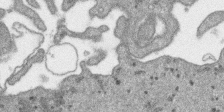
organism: Human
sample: Lung epithelial cells infected with SARS-CoV-2